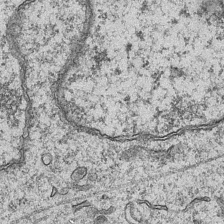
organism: Mouse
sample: CA1 Hippocampus